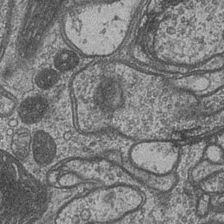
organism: Drosophila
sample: Optic medulla